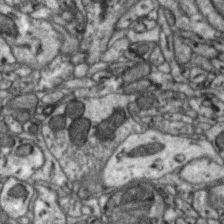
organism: Zebra finch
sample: Brain